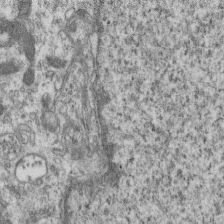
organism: Mouse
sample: Centriole in ependymal cells